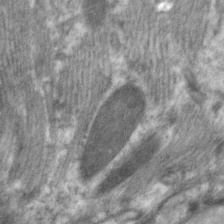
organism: C. elegans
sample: Pharynx